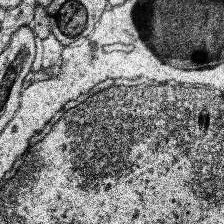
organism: Human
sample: Temporal Lobe